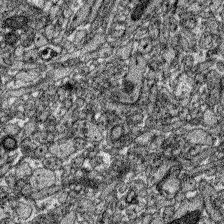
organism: Zebrafish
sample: Larval olfactory bulb